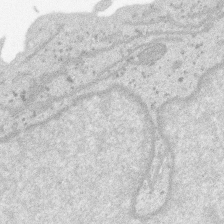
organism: Human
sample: Lung epithelial cells infected with SARS-CoV-2